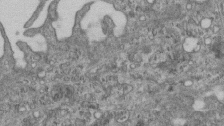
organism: Mouse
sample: Centriole in ependymal cells